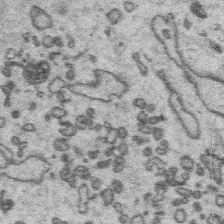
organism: Platynereis dumerilii